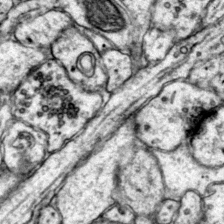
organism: Mouse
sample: Primary visual cortex